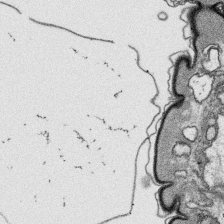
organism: Platynereis dumerilii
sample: Parapodia